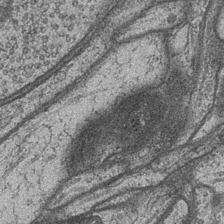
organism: Drosophila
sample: Optic medulla